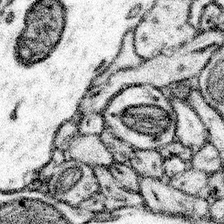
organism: Mouse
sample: Somatosensory cortex neuropil